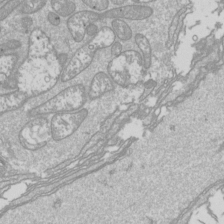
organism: Drosophila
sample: Cell division; meiosis; drosophila spermatocytes